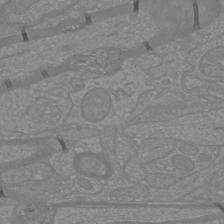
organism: Mouse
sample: Cortical neurons